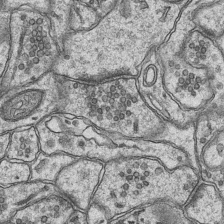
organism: Mouse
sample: CA1 Hippocampus